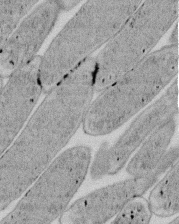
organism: E. coli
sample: Bacterial nucleoid